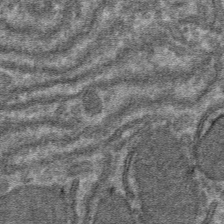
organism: Mouse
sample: Mouse hepatocytes